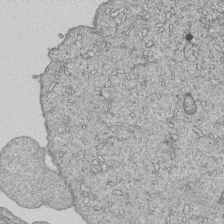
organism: Human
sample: MDA-MB-231 cells